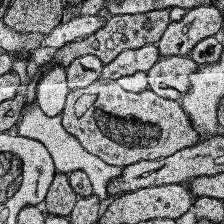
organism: Human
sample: Temporal Lobe